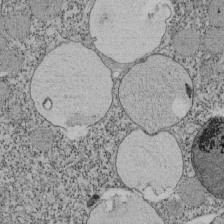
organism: Tetrahymena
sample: Cilia in tetrahymena